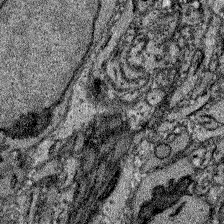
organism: Zebrafish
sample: Larval olfactory bulb